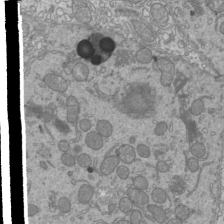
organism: Mouse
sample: Cilia; mouse epididymis